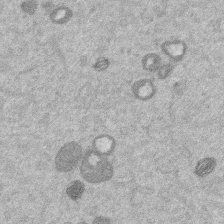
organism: Mouse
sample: Dividing mouse embryo 1 cell stage